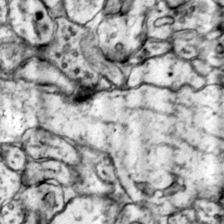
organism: Mouse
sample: Primary visual cortex